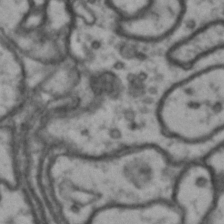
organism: Drosophila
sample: Brain